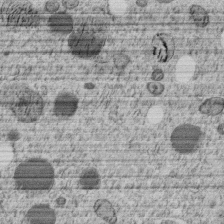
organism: C. elegans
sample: C. elegans embryo early stage